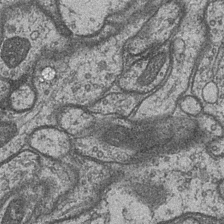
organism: Drosophila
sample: Optic medulla